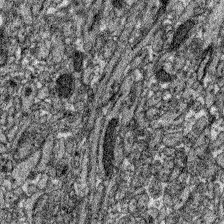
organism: Zebrafish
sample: Larval olfactory bulb